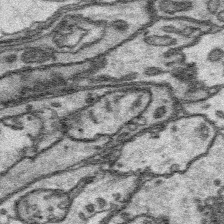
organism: Platynereis dumerilii